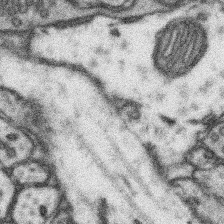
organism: Mouse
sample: Somatosensory cortex neuropil